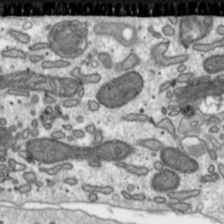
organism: Toxoplasma gondii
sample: Parasites in a vacuole inside a host cell